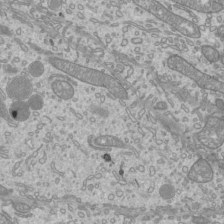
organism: Mouse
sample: Cilia; mouse epididymis